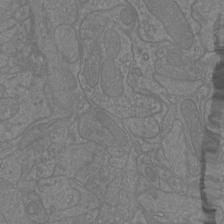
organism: Mouse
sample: Cortical neurons